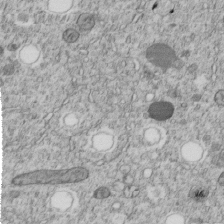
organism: C. elegans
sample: C. elegans embryo early stage